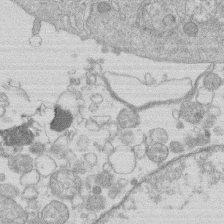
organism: Human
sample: Macrophage cells